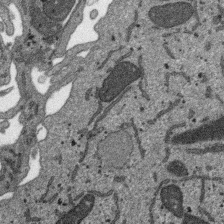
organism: Human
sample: Lung epithelial cells infected with SARS-CoV-2